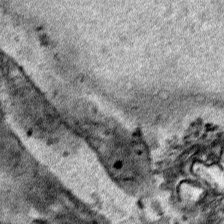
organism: Human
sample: Mitochondria in HCT116 cells